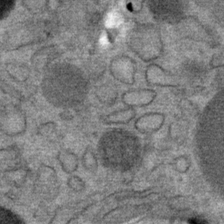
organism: Mouse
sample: Mouse Salivary gland